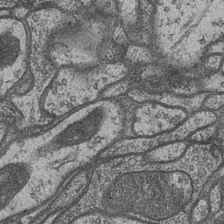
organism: Drosophila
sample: Optic medulla